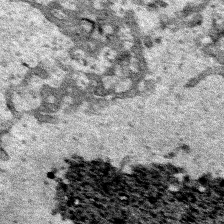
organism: Human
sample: Mitochondria in HCT116 cells